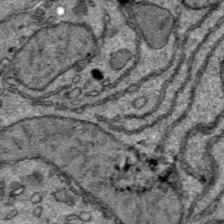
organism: C57BL Mouse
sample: Liver